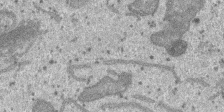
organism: Human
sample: Lung epithelial cells infected with SARS-CoV-2